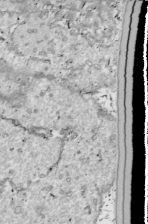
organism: Drosophila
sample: Cell division; meiosis; drosophila spermatocytes